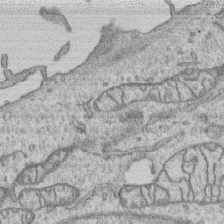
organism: Human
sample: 1205lu cells